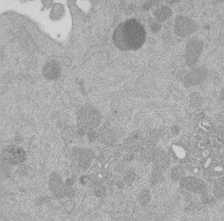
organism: Mouse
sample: Dividing mouse embryo 1 cell stage